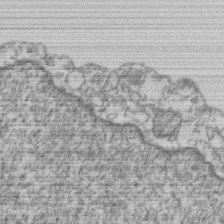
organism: Mouse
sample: T cell stromal cell synapse